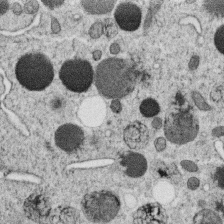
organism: C. elegans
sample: C. elegans oocyte; sperm cells